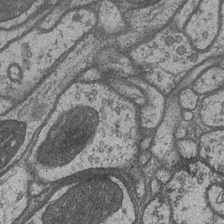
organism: Drosophila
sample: Optic medulla